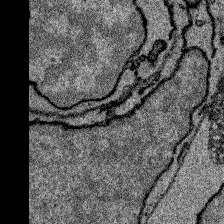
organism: Zebrafish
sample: Larval olfactory bulb